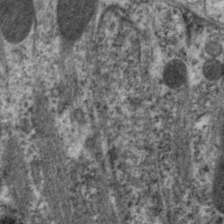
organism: C. elegans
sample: Pharynx